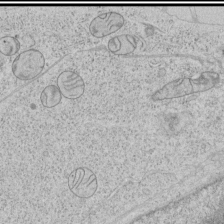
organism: Human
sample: Mitochondria in HCT116 cells